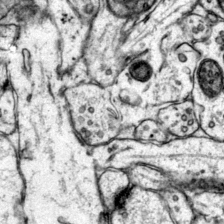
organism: Mouse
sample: Primary visual cortex